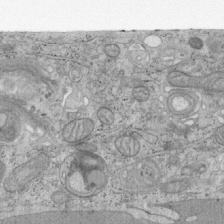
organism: Human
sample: HeLa cells